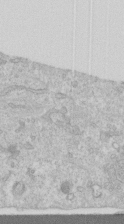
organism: Human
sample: Centriole in RPE cells